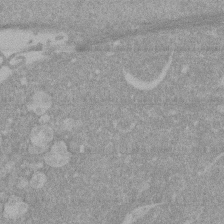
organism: Mouse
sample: ED-1 cell nuclei; centrioles